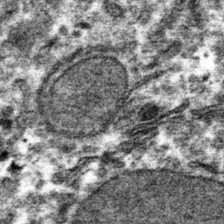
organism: Mouse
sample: Mouse hepatocytes